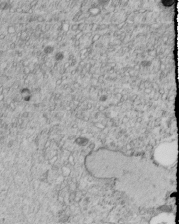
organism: C. elegans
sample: C. elegans embryo early stage